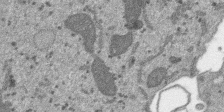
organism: Human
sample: Lung epithelial cells infected with SARS-CoV-2